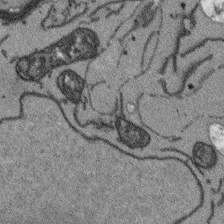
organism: Arabidopsis thaliana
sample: Root tip